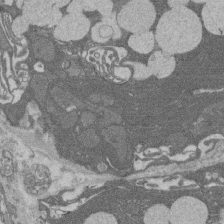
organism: Rat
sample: Salivary granule